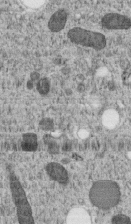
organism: C. elegans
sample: C. elegans embryo early stage